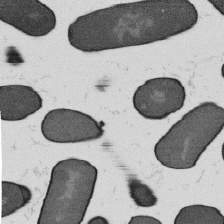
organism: B. subtilis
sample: Bacterial spore